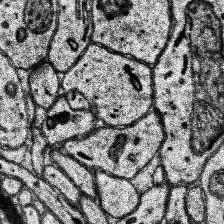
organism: Human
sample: Temporal Lobe